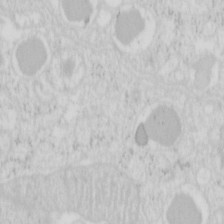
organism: Mouse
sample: Pancreas